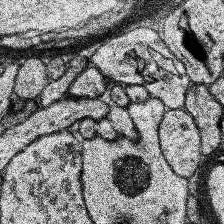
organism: Human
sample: Temporal Lobe